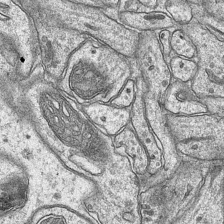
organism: Mouse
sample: CA1 Hippocampus